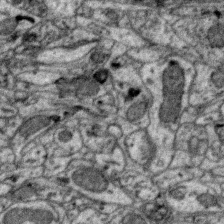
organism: Zebra finch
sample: Brain